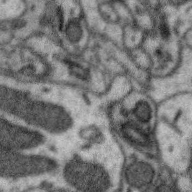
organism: Zebra finch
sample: Brain